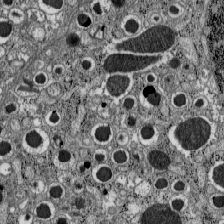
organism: C57BL Mouse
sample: Pancreatic islet